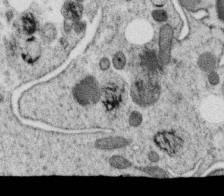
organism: C. elegans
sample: C. elegans oocyte; sperm cells